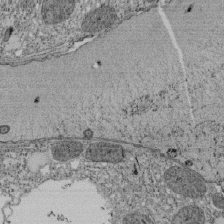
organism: Tetrahymena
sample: Cilia in tetrahymena